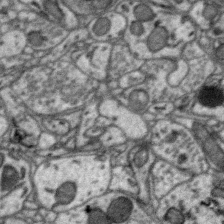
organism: Zebra finch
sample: Brain